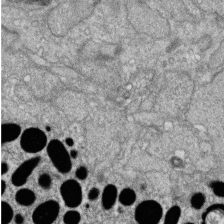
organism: Zebrafish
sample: Cilia; retinal pigment epithelium